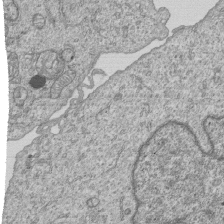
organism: Human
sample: MDA-MB-231 cells